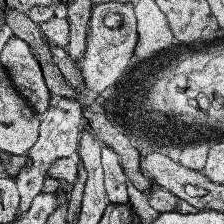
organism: Human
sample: Temporal Lobe